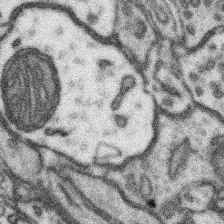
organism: Mouse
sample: Somatosensory cortex neuropil